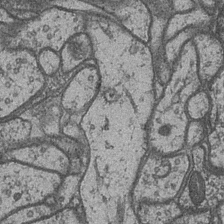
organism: Drosophila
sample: Optic medulla